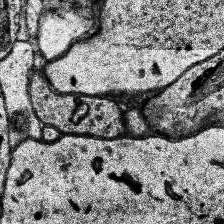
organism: Human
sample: Temporal Lobe